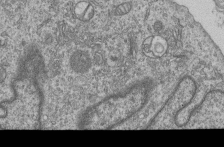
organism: Human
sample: MDA-MB-231 cells